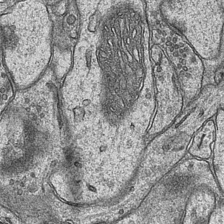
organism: Mouse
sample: CA1 Hippocampus